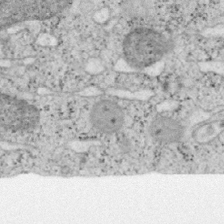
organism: Mouse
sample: OT-I killer T cells with ID8 ovarian cancer cells